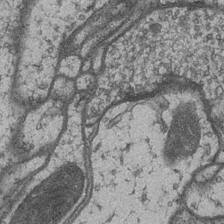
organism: Drosophila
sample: Optic medulla